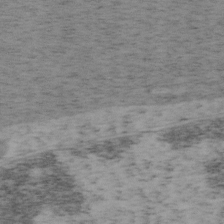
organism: Mouse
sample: OT-I killer T cells with ID8 ovarian cancer cells